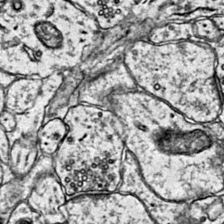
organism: Mouse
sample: Primary visual cortex